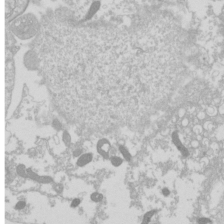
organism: Drosophila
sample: Cell division; meiosis; drosophila spermatocytes